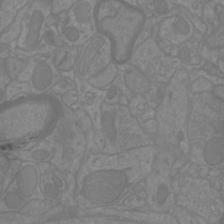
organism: Mouse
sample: Cortical neurons